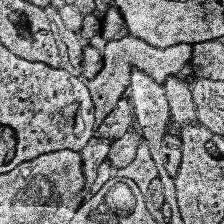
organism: Human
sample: Temporal Lobe